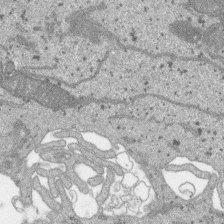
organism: Human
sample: Lung epithelial cells infected with SARS-CoV-2